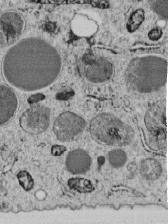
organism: C. elegans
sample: C. elegans embryo early stage